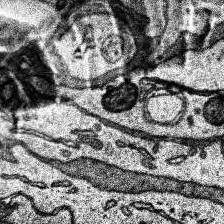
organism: Human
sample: Temporal Lobe